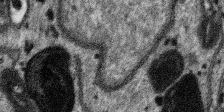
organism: Human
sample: Lung epithelial cells infected with SARS-CoV-2